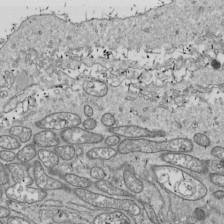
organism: Drosophila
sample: Cell division; meiosis; drosophila spermatocytes